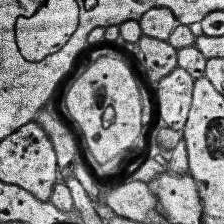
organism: Human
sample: Temporal Lobe